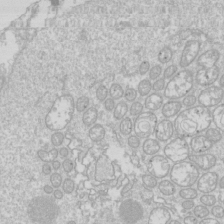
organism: Drosophila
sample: Cell division; meiosis; drosophila spermatocytes